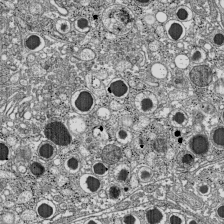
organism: C57BL Mouse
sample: Pancreatic islet